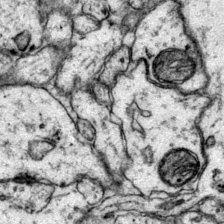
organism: Mouse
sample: Primary visual cortex